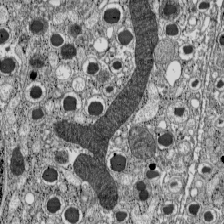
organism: C57BL Mouse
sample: Pancreatic islet